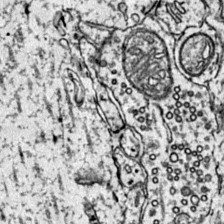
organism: Mouse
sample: Primary visual cortex